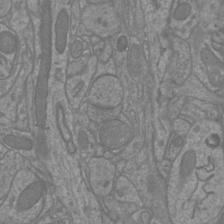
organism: Mouse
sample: Cortical neurons